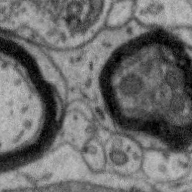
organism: Zebra finch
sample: Brain